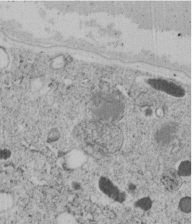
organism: C. elegans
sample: C. elegans embryo early stage